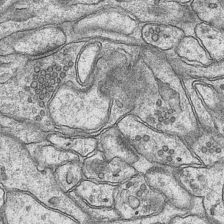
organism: Mouse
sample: CA1 Hippocampus